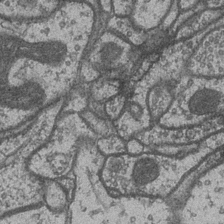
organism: Drosophila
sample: Optic medulla